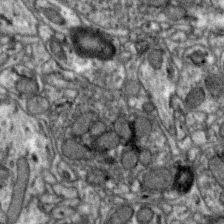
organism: Zebra finch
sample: Brain